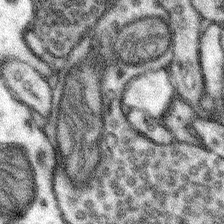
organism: Mouse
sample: Somatosensory cortex neuropil